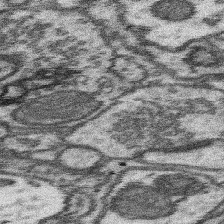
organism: Mouse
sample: Somatosensory cortex neuropil